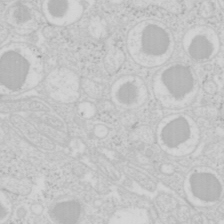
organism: Mouse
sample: Pancreas